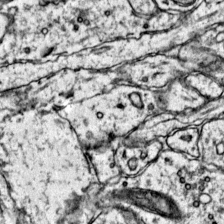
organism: Mouse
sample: Primary visual cortex